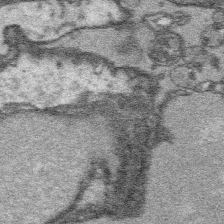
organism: Platynereis dumerilii